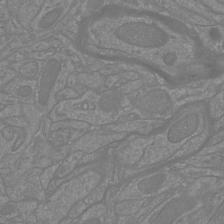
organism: Mouse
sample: Cortical neurons